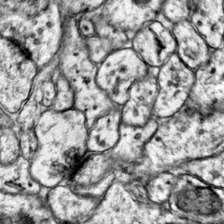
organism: Mouse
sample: Primary visual cortex